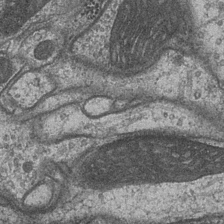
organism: Drosophila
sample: Optic medulla